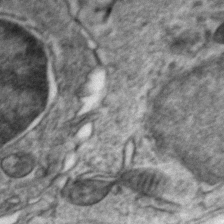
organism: Zebrafish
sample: Zebrafish embryo